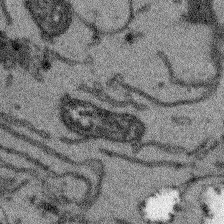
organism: Arabidopsis thaliana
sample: Root tip